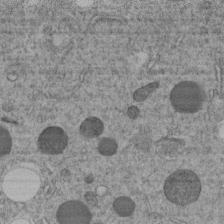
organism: C. elegans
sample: C. elegans embryo early stage